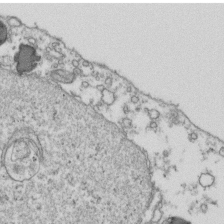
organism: Human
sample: Activated Jurkat CD4+ T cells